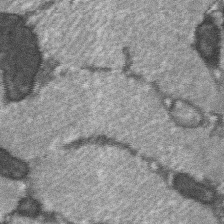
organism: C57BL Mouse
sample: Soleus